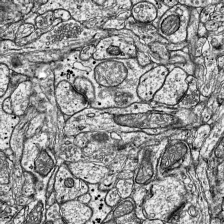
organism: Mouse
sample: Visual Cortex